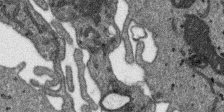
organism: Human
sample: Lung epithelial cells infected with SARS-CoV-2